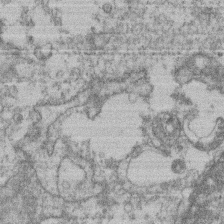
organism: Mouse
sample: T cell stromal cell synapse